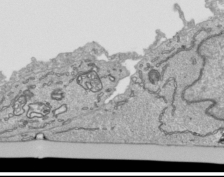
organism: Human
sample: Mitochondria in HCT116 cells